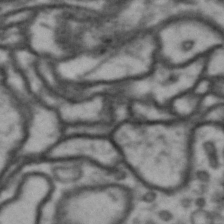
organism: Drosophila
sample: Brain